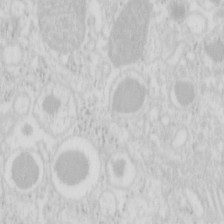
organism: Mouse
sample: Pancreas